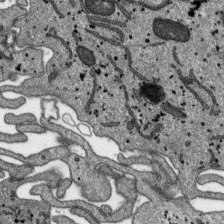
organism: Human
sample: Lung epithelial cells, uninfected (mock) control